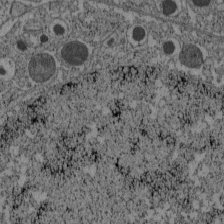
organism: C57BL Mouse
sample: Pancreatic islet